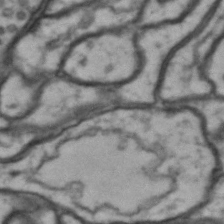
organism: Drosophila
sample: Brain